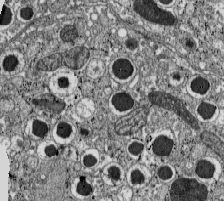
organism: C57BL Mouse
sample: Pancreatic islet